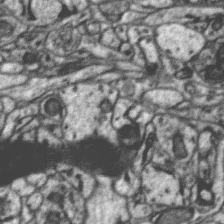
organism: Zebra finch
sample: Brain